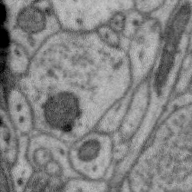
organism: Zebra finch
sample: Brain